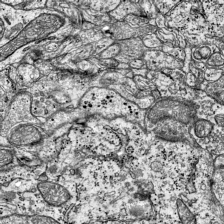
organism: Mouse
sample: Visual Cortex